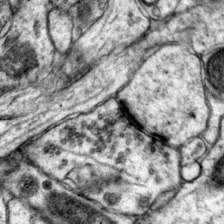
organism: Mouse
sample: Primary visual cortex